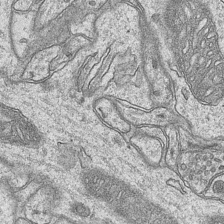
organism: Mouse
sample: CA1 Hippocampus